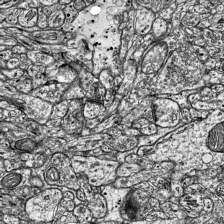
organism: Mouse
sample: Visual Cortex